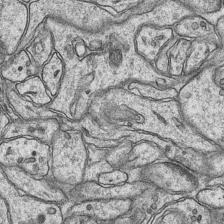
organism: Mouse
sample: CA1 Hippocampus